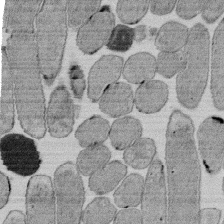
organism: E. coli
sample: Bacterial nucleoid